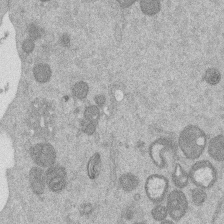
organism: Mouse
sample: Dividing mouse embryo 1 cell stage